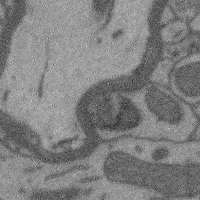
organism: Mouse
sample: Cerebral cortex